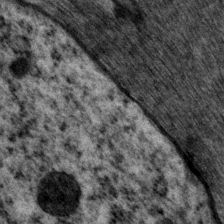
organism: P. pacificus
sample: Pharynx